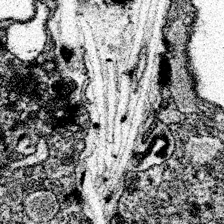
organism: Spongilla lacustris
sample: Neuroid cell